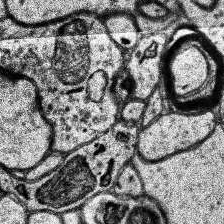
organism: Human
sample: Temporal Lobe